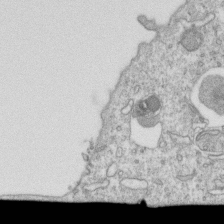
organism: Mouse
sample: Activated OT-1 CD8+ T cells